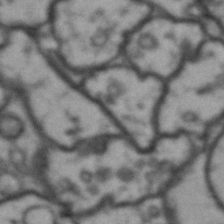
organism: Drosophila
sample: Brain